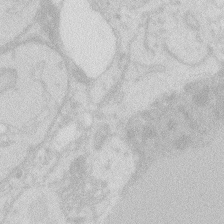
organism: Zebrafish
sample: Macrophage